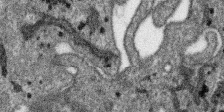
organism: Human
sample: Lung epithelial cells infected with SARS-CoV-2